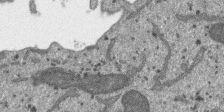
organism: Human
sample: Lung epithelial cells infected with SARS-CoV-2